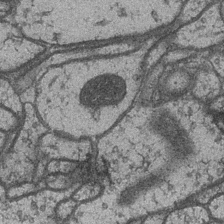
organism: Drosophila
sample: Optic medulla